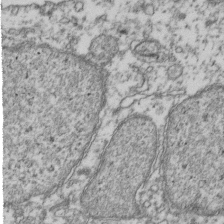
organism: Human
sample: Activated Jurkat CD4+ T cells